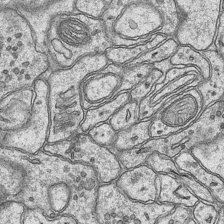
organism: Mouse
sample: CA1 Hippocampus